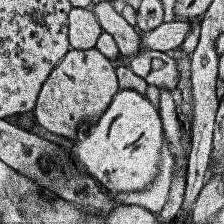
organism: Human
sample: Temporal Lobe